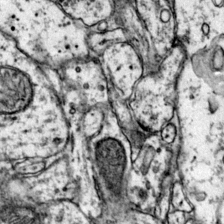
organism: Mouse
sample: Primary visual cortex